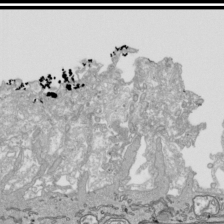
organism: Human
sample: Mitochondria in HCT116 cells